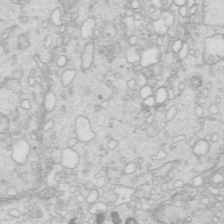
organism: Mouse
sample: Multiciliated cells